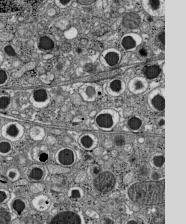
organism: C57BL Mouse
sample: Pancreatic islet